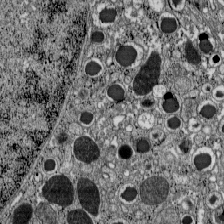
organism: C57BL Mouse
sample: Pancreatic islet